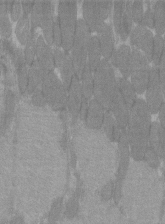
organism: C57BL Mouse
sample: Tibialis anterior muscle cell